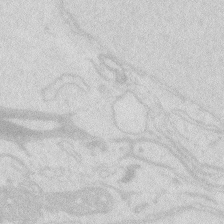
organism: Zebrafish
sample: Macrophage